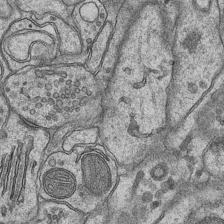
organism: Mouse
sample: CA1 Hippocampus